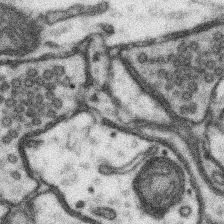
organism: Mouse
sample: Somatosensory cortex neuropil